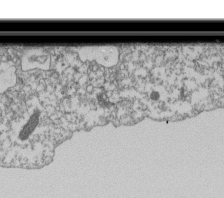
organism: Dictyostelium discoideum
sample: Dictyostelium multivesicular bodies